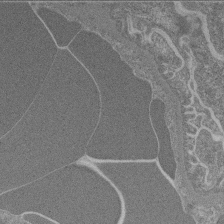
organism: Mouse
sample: Glomerulus